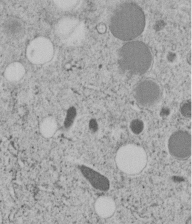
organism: C. elegans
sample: C. elegans embryo early stage